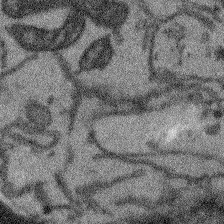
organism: Arabidopsis thaliana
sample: Root tip